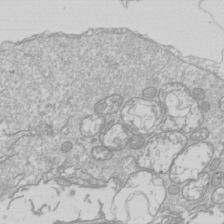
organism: Drosophila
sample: Cell division; meiosis; drosophila spermatocytes